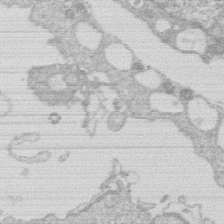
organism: Human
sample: Macrophage cells